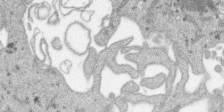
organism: Human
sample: Lung epithelial cells infected with SARS-CoV-2